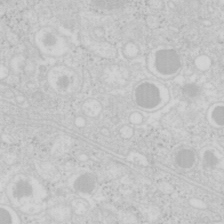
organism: Mouse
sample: Pancreas